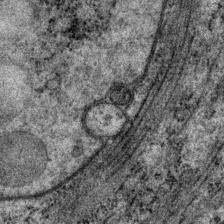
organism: P. pacificus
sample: Pharynx